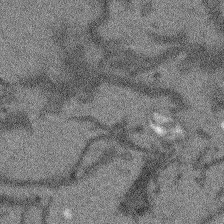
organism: Arabidopsis thaliana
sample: Root tip